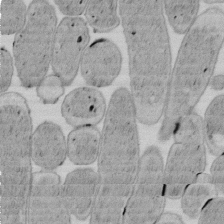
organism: E. coli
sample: Bacterial nucleoid